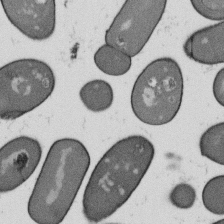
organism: B. subtilis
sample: Bacterial spore